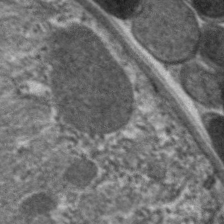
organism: C. elegans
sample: Pharynx